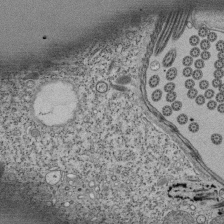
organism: Tetrahymena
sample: Cilia in tetrahymena